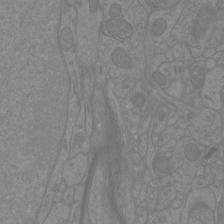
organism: Mouse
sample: Cortical neurons